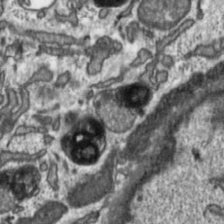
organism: Toxoplasma gondii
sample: Parasites in a vacuole inside a host cell